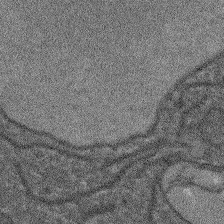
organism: Arabidopsis thaliana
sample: Root tip